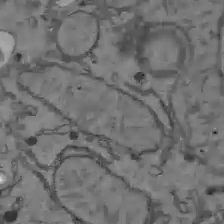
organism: C57BL Mouse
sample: Liver